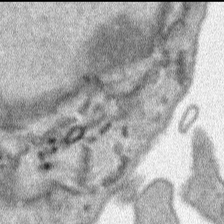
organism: Human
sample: Mitochondria in HCT116 cells